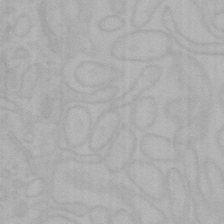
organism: Mouse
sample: Choroid plexus